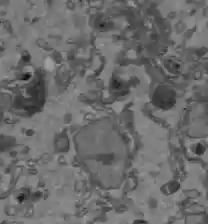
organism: C57BL Mouse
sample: Liver